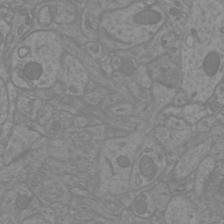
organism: Mouse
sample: Cortical neurons